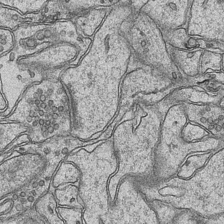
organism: Mouse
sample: CA1 Hippocampus